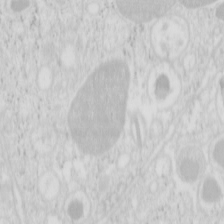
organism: Mouse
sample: Pancreas